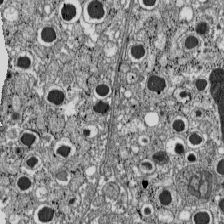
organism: C57BL Mouse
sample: Pancreatic islet